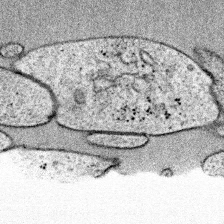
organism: Human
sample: HeLa cells